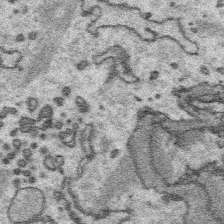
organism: Platynereis dumerilii